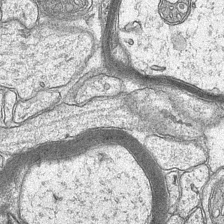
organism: Mouse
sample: CA1 Hippocampus